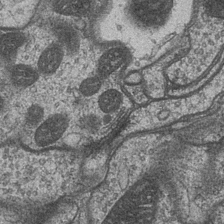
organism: Drosophila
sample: Optic medulla